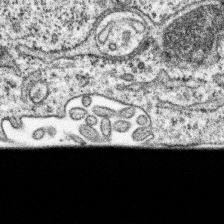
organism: Human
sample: HeLa cells